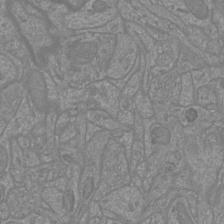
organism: Mouse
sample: Cortical neurons